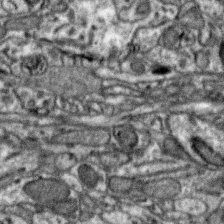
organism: Zebra finch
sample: Brain